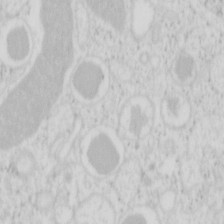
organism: Mouse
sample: Pancreas